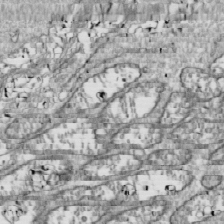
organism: Drosophila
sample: Cell division; meiosis; drosophila spermatocytes